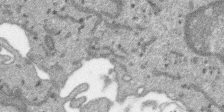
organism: Human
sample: Lung epithelial cells infected with SARS-CoV-2